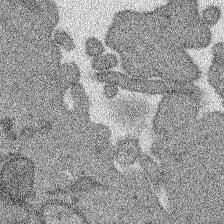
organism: Human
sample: HeLa cells